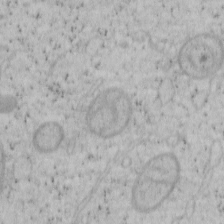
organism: Human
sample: HeLa cells